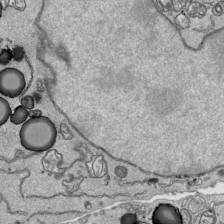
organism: Human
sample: Mitochondria in HCT116 cells